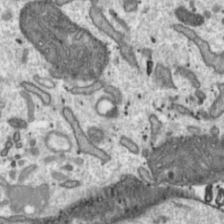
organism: Toxoplasma gondii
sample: Parasites in a vacuole inside a host cell